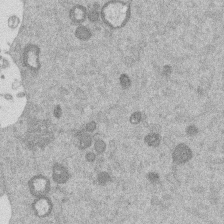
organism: Mouse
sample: Dividing mouse embryo 1 cell stage